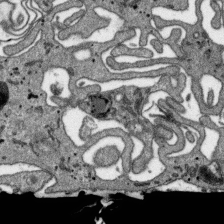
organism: Human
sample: Lung epithelial cells, uninfected (mock) control